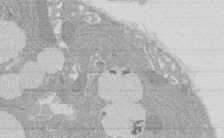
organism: Rat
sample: Salivary granule